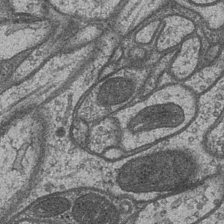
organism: Drosophila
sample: Optic medulla